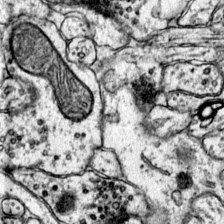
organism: Mouse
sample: Primary visual cortex